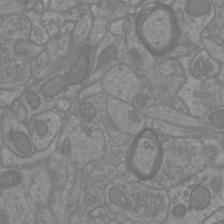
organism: Mouse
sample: Cortical neurons